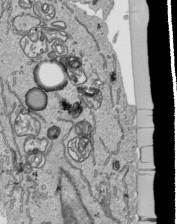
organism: Human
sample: Mitochondria in HCT116 cells